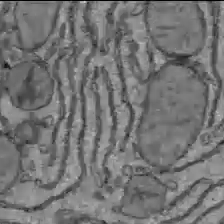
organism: C57BL Mouse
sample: Liver